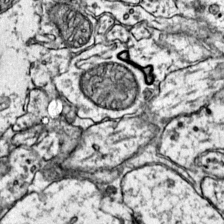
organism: Mouse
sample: Primary visual cortex